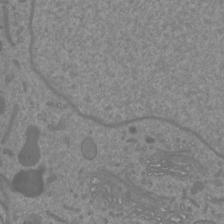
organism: Mouse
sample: Cortical neurons